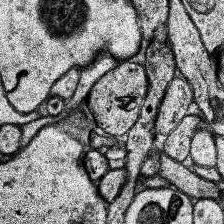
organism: Human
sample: Temporal Lobe